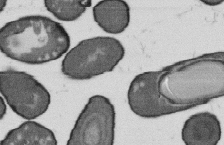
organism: B. subtilis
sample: Bacterial spore